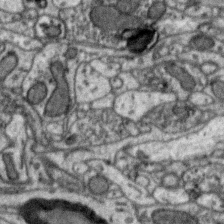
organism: Zebra finch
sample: Brain